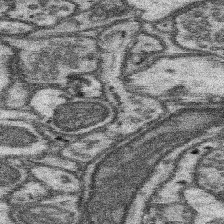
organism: Mouse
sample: Somatosensory cortex neuropil